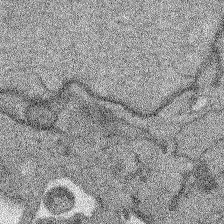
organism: Human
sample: HeLa cells